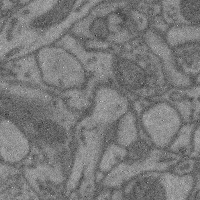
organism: Mouse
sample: Cerebral cortex